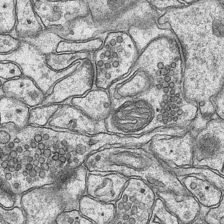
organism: Mouse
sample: CA1 Hippocampus